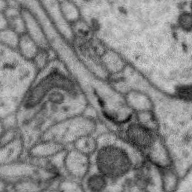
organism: Zebra finch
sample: Brain